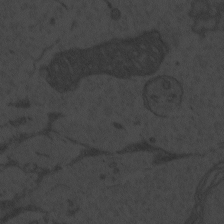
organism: Zebrafish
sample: Macrophage infected with Toxoplasma gondii